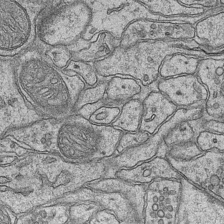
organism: Mouse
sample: CA1 Hippocampus